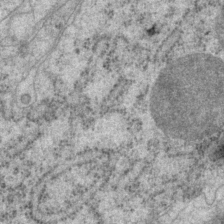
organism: P. pacificus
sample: Pharynx